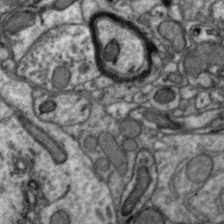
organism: Zebra finch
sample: Brain